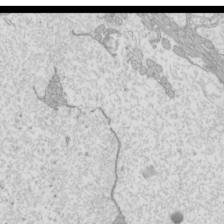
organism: Mouse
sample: Cilia; mouse epididymis